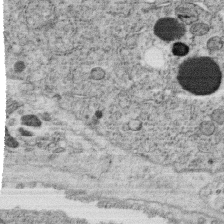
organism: C. elegans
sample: C. elegans oocyte; sperm cells